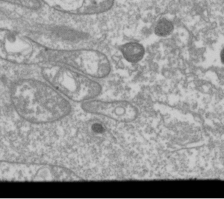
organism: Drosophila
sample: Cell division; meiosis; drosophila spermatocytes